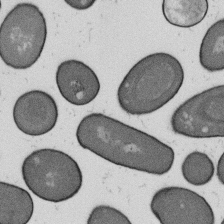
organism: B. subtilis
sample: Bacterial spore